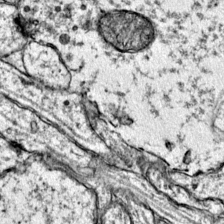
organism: Mouse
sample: Primary visual cortex